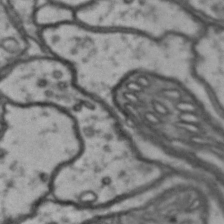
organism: Drosophila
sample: Brain